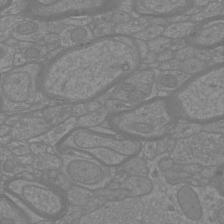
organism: Mouse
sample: Cortical neurons